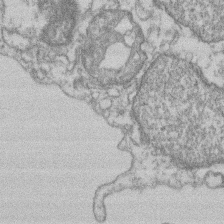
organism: Mouse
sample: T cell stromal cell synapse